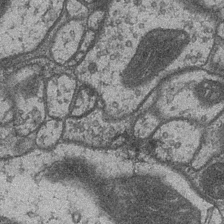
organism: Drosophila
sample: Optic medulla